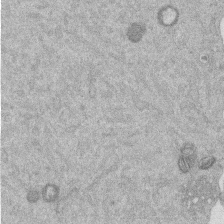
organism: Mouse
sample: Dividing mouse embryo 1 cell stage